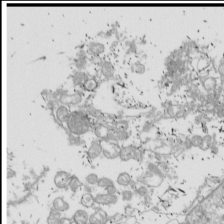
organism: Drosophila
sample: Cell division; meiosis; drosophila spermatocytes